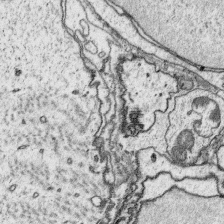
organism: Platynereis dumerilii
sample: Parapodia